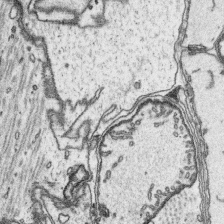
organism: Platynereis dumerilii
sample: Parapodia